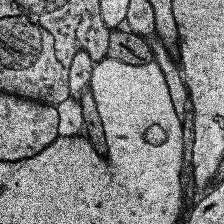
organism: Human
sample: Temporal Lobe